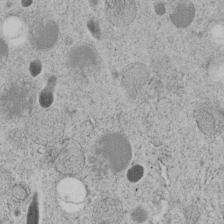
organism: C. elegans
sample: C. elegans embryo early stage